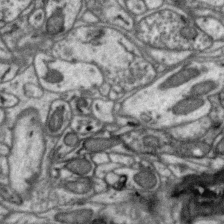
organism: Zebra finch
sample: Brain